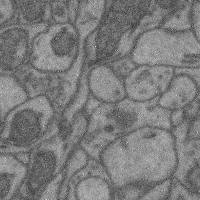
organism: Mouse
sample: Cerebral cortex